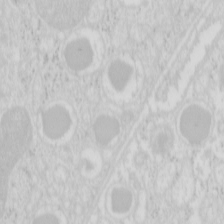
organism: Mouse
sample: Pancreas